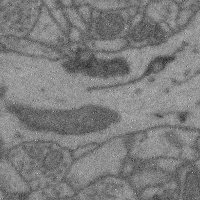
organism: Mouse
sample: Cerebral cortex